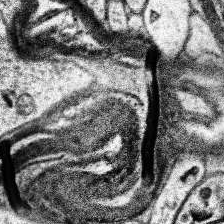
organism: Human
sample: Temporal Lobe